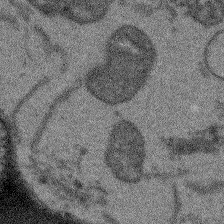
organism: Arabidopsis thaliana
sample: Root tip